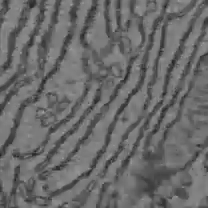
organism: C57BL Mouse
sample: Liver